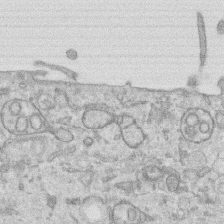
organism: Human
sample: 1205lu cells